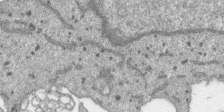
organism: Human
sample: Lung epithelial cells infected with SARS-CoV-2